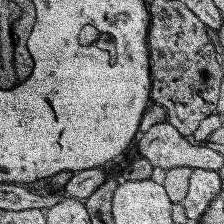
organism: Human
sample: Temporal Lobe